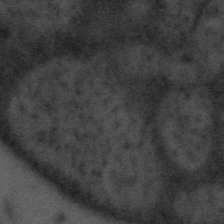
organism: Tuwongella immobilis